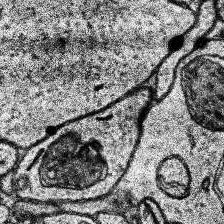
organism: Human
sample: Temporal Lobe